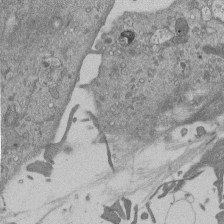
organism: Mouse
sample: ED-1 cell nuclei; centrioles